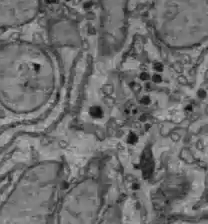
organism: C57BL Mouse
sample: Liver